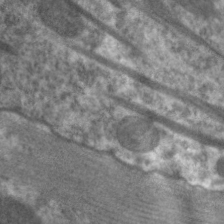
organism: C. elegans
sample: Pharynx